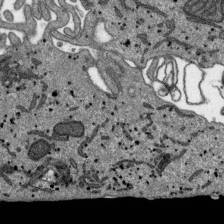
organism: Human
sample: Lung epithelial cells, uninfected (mock) control